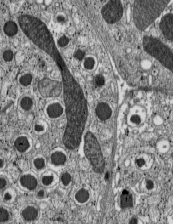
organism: C57BL Mouse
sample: Pancreatic islet